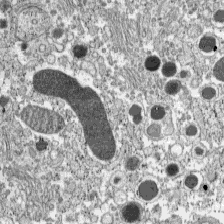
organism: C57BL Mouse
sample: Pancreatic islet